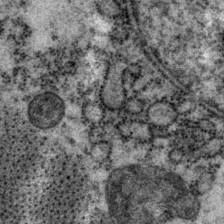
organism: P. pacificus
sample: Pharynx